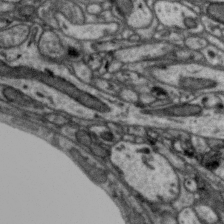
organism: Zebra finch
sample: Brain